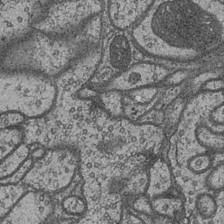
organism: Drosophila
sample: Optic medulla